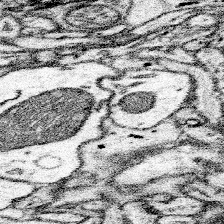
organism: Mouse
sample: Somatosensory cortex neuropil